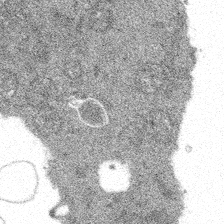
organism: Spongilla lacustris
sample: Multiple